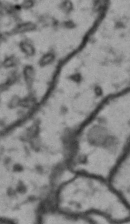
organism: Drosophila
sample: Brain